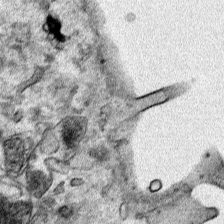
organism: Human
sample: Mitochondria in HCT116 cells